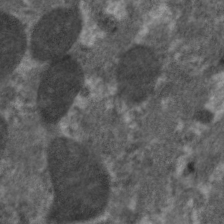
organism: C. elegans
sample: Pharynx